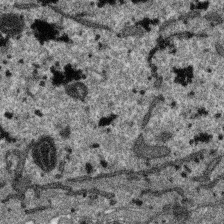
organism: Human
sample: Lung epithelial cells infected with SARS-CoV-2